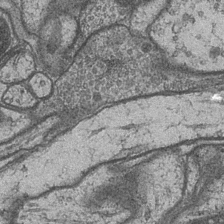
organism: Drosophila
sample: Optic medulla